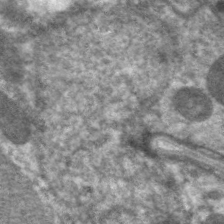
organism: C. elegans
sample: Pharynx